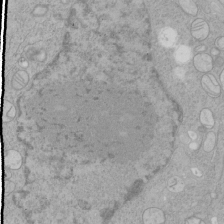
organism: Human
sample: Mitochondria in HCT116 cells